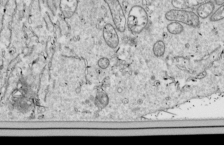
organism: Drosophila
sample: Cell division; meiosis; drosophila spermatocytes